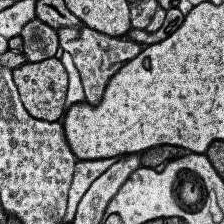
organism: Human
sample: Temporal Lobe